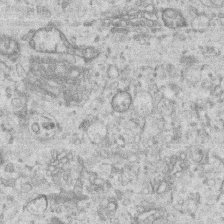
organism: Human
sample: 1205lu cells